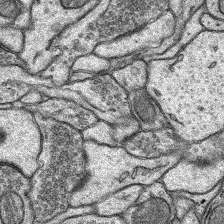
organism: Rat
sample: Hippocampus